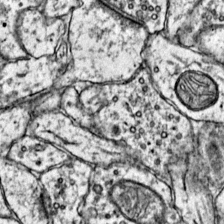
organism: Mouse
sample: Primary visual cortex